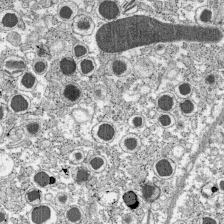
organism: C57BL Mouse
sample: Pancreatic islet